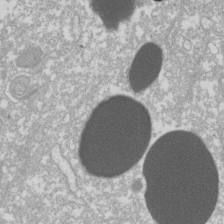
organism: Xenopus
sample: Cilia; centrioles in frog embryo cells